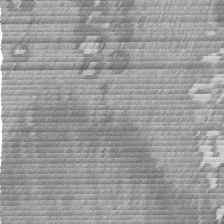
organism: Mouse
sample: Dividing mouse embryo 1 cell stage